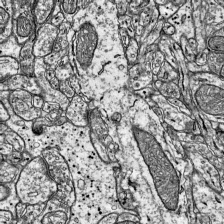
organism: Mouse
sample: Visual Cortex